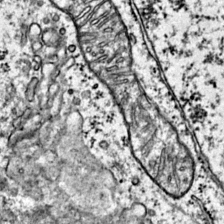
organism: Mouse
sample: Primary visual cortex